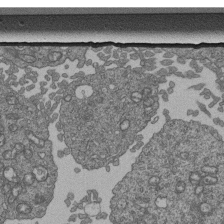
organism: Human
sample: Retinal organoid Rod and Cone cells